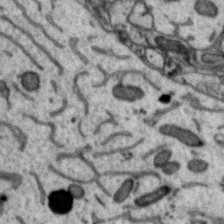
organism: Zebra finch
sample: Brain